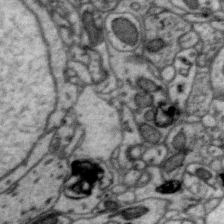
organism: Zebra finch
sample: Brain